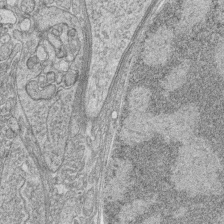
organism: Zebrafish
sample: synaptic ribbons in rod cells and cone cells